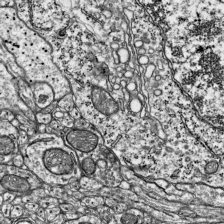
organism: Mouse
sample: Visual Cortex